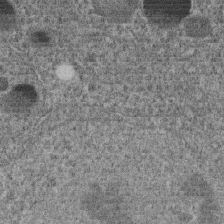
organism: C. elegans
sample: C. elegans embryo early stage